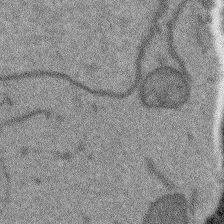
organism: Arabidopsis thaliana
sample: Root tip